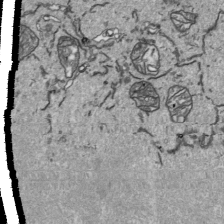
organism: Human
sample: Mitochondria in HCT116 cells